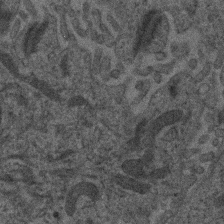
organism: Human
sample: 1205lu cells